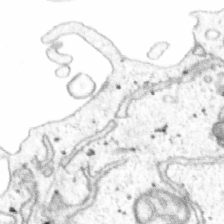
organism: Human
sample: HeLa cells